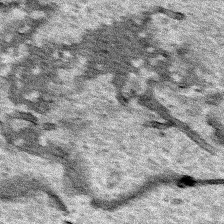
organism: Human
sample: Mitochondria in HCT116 cells